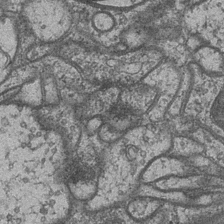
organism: Drosophila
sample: Optic medulla